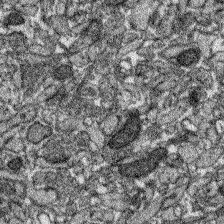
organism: Zebrafish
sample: Larval olfactory bulb